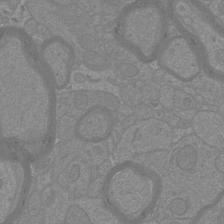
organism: Mouse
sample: Cortical neurons